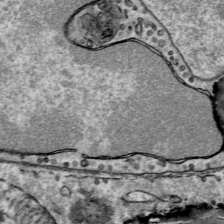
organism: Mouse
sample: Mouse Salivary gland